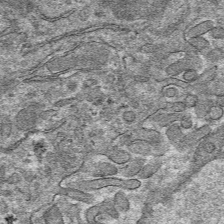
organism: Mouse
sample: Mouse hepatocytes